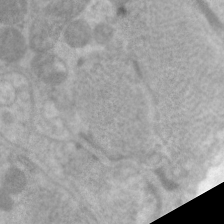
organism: C. elegans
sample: Pharynx